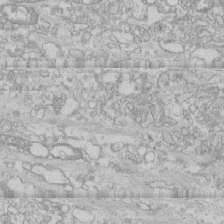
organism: Human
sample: CRL-1474